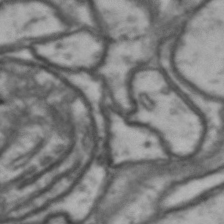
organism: Drosophila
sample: Brain